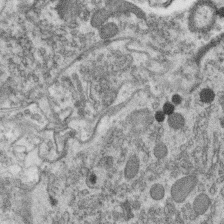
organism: C. elegans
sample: C. elegans oocyte; sperm cells